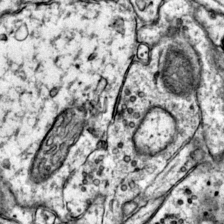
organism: Mouse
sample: Primary visual cortex